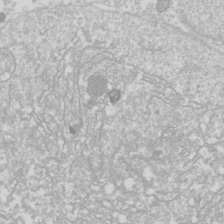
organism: Drosophila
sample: Cell division; meiosis; drosophila spermatocytes